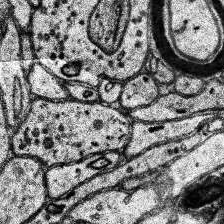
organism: Human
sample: Temporal Lobe